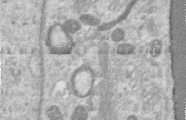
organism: Human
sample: Centriole in RPE cells